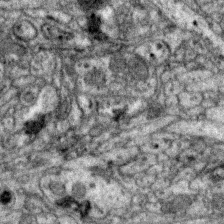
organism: Zebra finch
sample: Brain